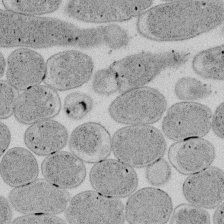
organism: E. coli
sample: Bacterial nucleoid